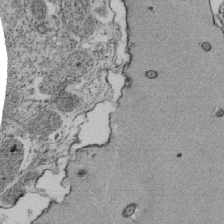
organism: Tetrahymena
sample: Cilia in tetrahymena